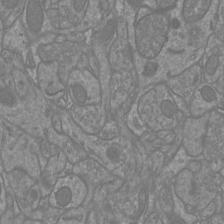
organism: Mouse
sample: Cortical neurons